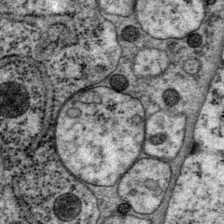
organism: P. pacificus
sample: Pharynx